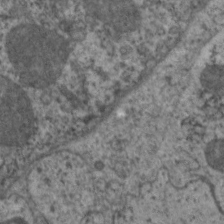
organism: C. elegans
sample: Pharynx